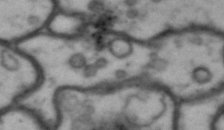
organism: Drosophila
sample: Brain